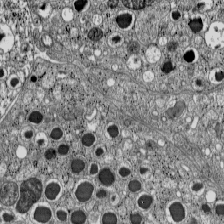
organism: C57BL Mouse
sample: Pancreatic islet